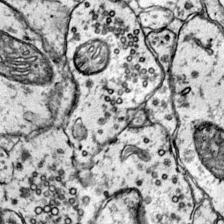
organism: Mouse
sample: Primary visual cortex